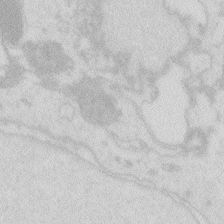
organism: Zebrafish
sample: Macrophage